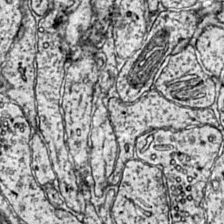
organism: Mouse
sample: Primary visual cortex